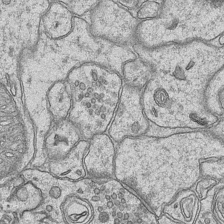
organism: Mouse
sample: CA1 Hippocampus